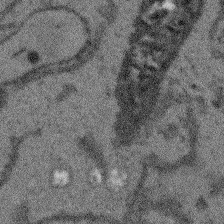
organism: Arabidopsis thaliana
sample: Root tip